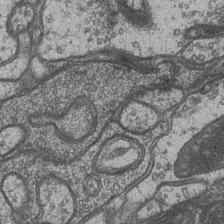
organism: Drosophila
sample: Optic medulla